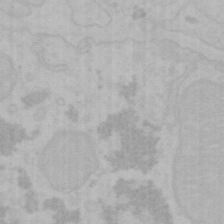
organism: Mouse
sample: Choroid plexus